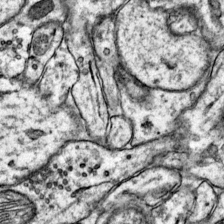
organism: Mouse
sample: Primary visual cortex